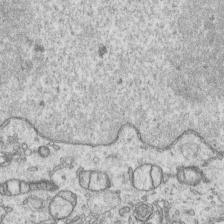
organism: Human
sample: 1205lu cells